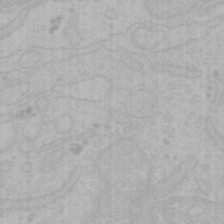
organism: Mouse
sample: Choroid plexus